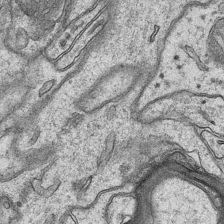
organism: Mouse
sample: CA1 Hippocampus